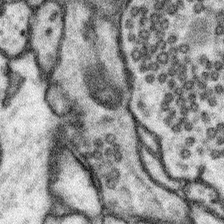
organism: Mouse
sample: Somatosensory cortex neuropil